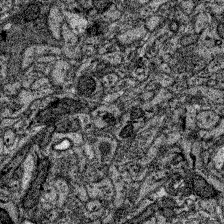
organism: Zebrafish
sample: Larval olfactory bulb